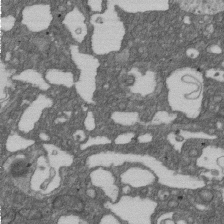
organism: Drosophila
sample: Nephrocyte